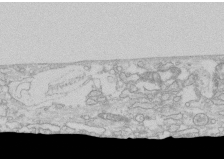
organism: Human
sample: CRL-1474